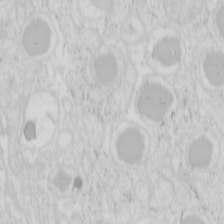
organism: Mouse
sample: Pancreas